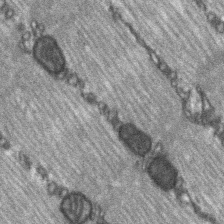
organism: C57BL Mouse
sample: Soleus